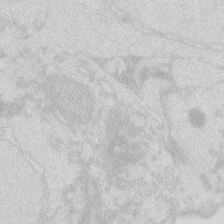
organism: Zebrafish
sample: Macrophage